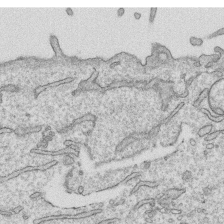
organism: Human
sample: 1205lu cells